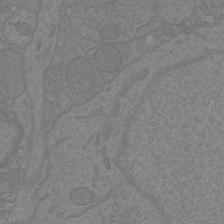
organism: Mouse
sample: Cortical neurons